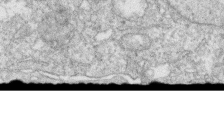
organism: Human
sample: HeLa cell HIV synapse